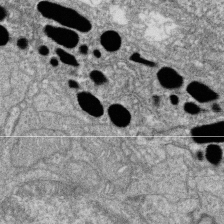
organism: Zebrafish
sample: Cilia; retinal pigment epithelium